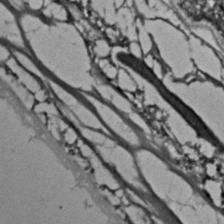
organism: C. elegans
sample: C. elegans embryo